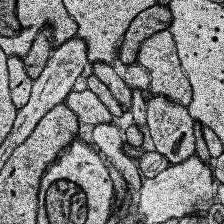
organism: Human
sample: Temporal Lobe